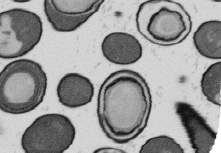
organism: B. subtilis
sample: Bacterial spore